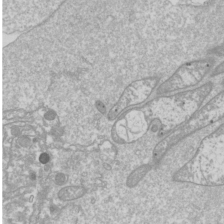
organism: Drosophila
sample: Cell division; meiosis; drosophila spermatocytes